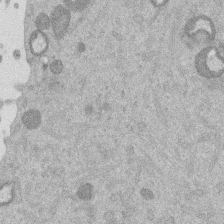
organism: Mouse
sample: Dividing mouse embryo 1 cell stage